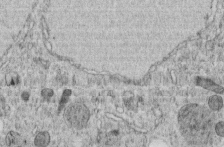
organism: C. elegans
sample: C. elegans embryo early stage